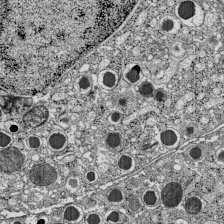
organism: C57BL Mouse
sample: Pancreatic islet